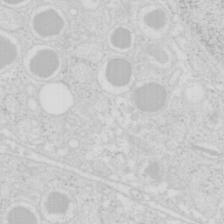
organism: Mouse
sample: Pancreas